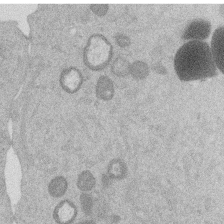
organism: Mouse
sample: Dividing mouse embryo 1 cell stage